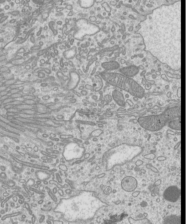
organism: Mouse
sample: Cilia; mouse epididymis